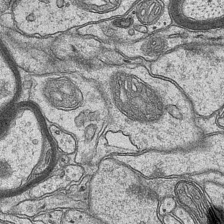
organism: Mouse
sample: CA1 Hippocampus